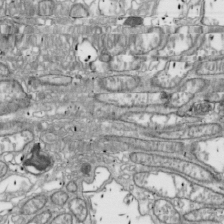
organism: Drosophila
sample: Cell division; meiosis; drosophila spermatocytes